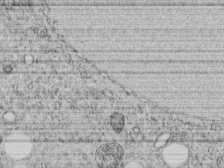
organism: C. elegans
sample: C. elegans embryo early stage